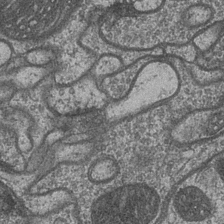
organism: Drosophila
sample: Optic medulla